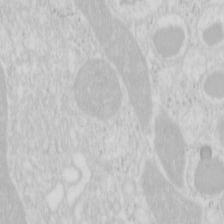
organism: Mouse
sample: Pancreas